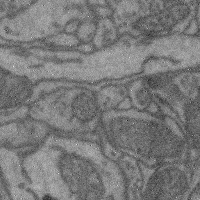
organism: Mouse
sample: Cerebral cortex